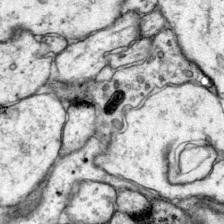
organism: Mouse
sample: Primary visual cortex